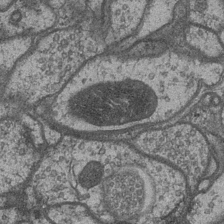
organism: Drosophila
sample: Optic medulla